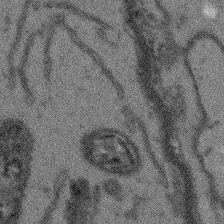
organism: Arabidopsis thaliana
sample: Root tip